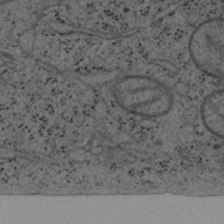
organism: Human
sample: HeLa cells